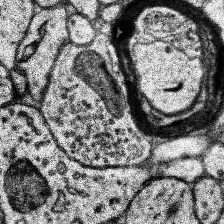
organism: Human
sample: Temporal Lobe